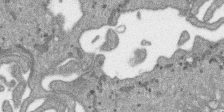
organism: Human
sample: Lung epithelial cells infected with SARS-CoV-2